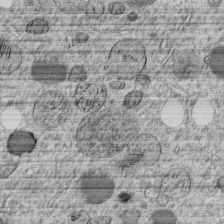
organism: C. elegans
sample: C. elegans embryo early stage